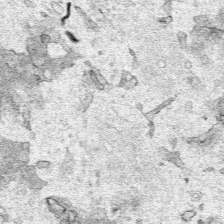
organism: Human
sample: Mitochondria in HCT116 cells